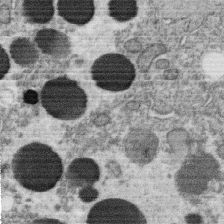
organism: C. elegans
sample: C. elegans oocyte; sperm cells